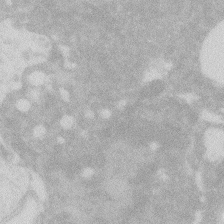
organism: Zebrafish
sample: Macrophage